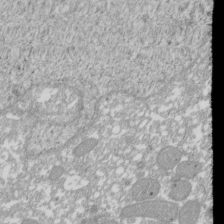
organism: Xenopus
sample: Cilia; centrioles in frog embryo cells